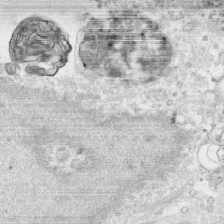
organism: Human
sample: CRL-1474